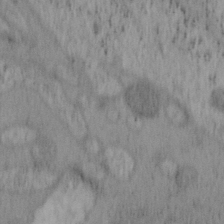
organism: Mouse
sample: OT-I killer T cells with ID8 ovarian cancer cells